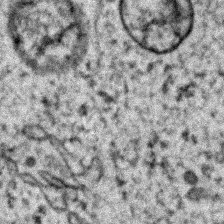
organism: Zebrafish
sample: Zebrafish embryo